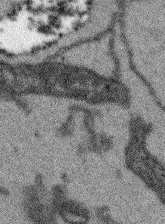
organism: Arabidopsis thaliana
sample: Root tip